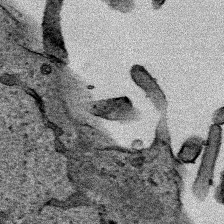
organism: Human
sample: Mitochondria in HCT116 cells